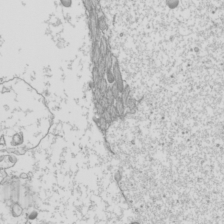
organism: Mouse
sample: Cilia; mouse epididymis